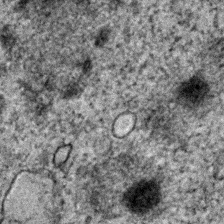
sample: Trachea